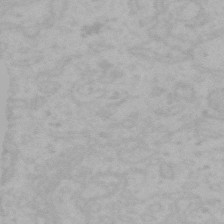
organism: Mouse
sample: Choroid plexus